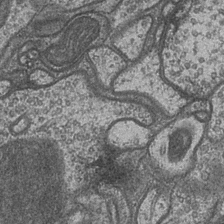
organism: Drosophila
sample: Optic medulla